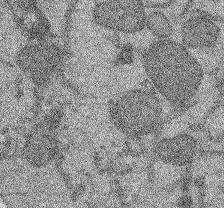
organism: Human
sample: HeLa cells